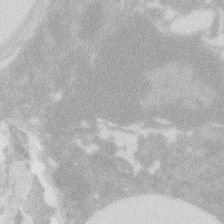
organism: Zebrafish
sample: Macrophage